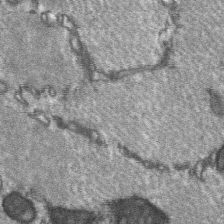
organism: C57BL Mouse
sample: Soleus